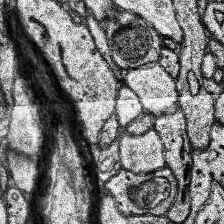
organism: Human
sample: Temporal Lobe